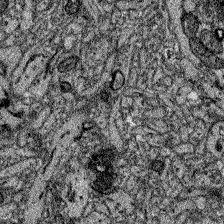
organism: Zebrafish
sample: Larval olfactory bulb